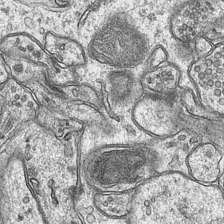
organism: Mouse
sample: CA1 Hippocampus